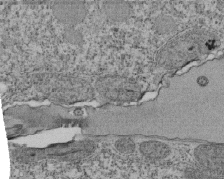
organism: Tetrahymena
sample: Cilia in tetrahymena